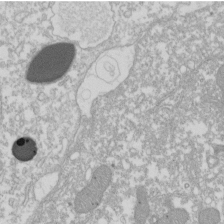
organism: Xenopus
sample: Cilia; centrioles in frog embryo cells